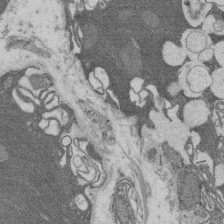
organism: Rat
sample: Salivary granule